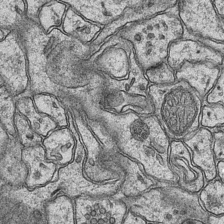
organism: Mouse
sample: CA1 Hippocampus